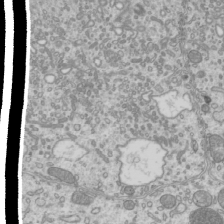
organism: Mouse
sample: Cilia; mouse epididymis